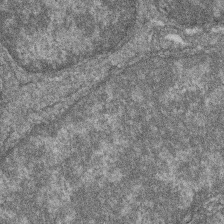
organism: Zebrafish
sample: Cilia; retinal pigment epithelium